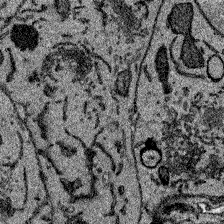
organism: Zebrafish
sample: Larval olfactory bulb